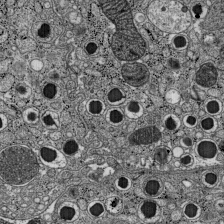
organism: C57BL Mouse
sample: Pancreatic islet